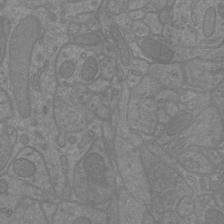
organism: Mouse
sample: Cortical neurons